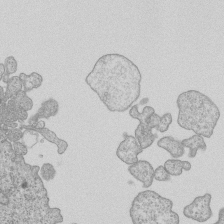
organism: Human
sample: MDA-MB-231 cells